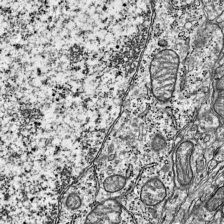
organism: Mouse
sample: Visual Cortex